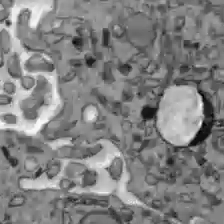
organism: C57BL Mouse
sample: Liver